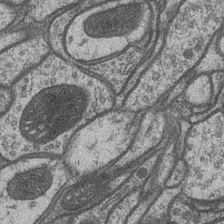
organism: Drosophila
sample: Optic medulla